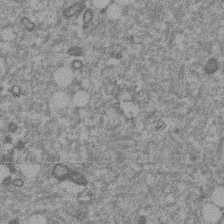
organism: Mouse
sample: Dividing mouse embryo 1 cell stage